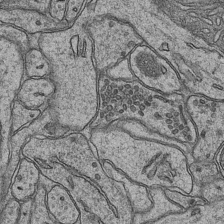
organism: Mouse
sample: CA1 Hippocampus